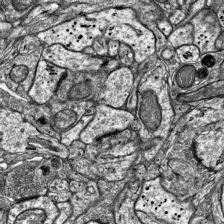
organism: Mouse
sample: Visual Cortex